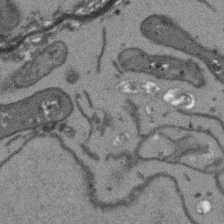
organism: Arabidopsis thaliana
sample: Root tip